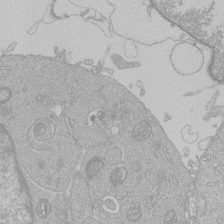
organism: Human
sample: Macrophage cells